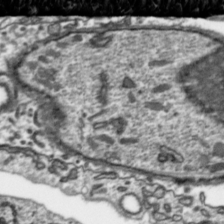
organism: Toxoplasma gondii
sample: Parasites in a vacuole inside a host cell